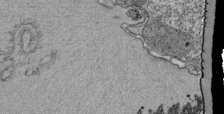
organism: Tetrahymena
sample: Cilia in tetrahymena